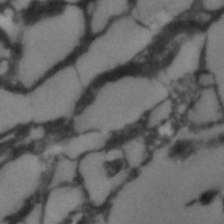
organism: C. elegans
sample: C. elegans embryo